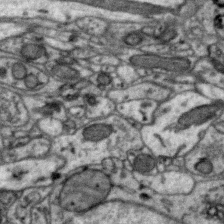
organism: Zebra finch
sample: Brain